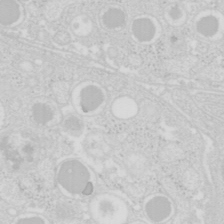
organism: Mouse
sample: Pancreas